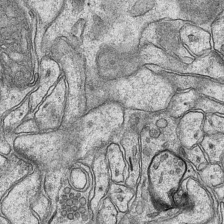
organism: Mouse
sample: CA1 Hippocampus